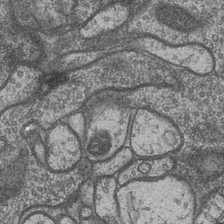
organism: Drosophila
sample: Optic medulla